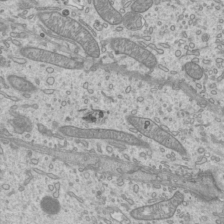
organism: Mouse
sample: Cilia; mouse epididymis